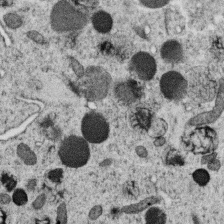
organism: C. elegans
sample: C. elegans oocyte; sperm cells